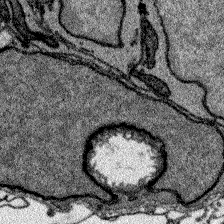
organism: Zebrafish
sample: Larval olfactory bulb